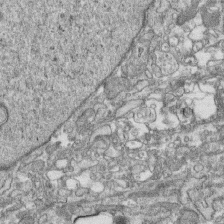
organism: Human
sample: CRL-1474